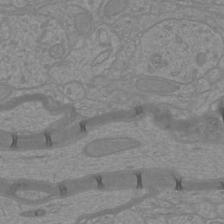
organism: Mouse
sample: Cortical neurons